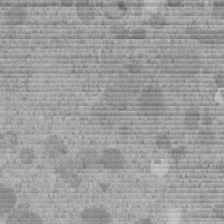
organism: C. elegans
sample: C. elegans embryo early stage